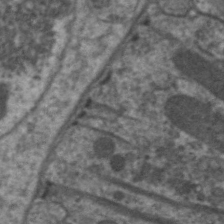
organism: C. elegans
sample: Pharynx